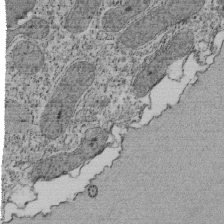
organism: Tetrahymena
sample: Cilia in tetrahymena